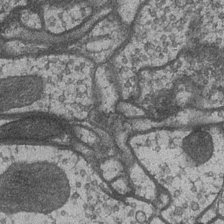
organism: Drosophila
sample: Optic medulla